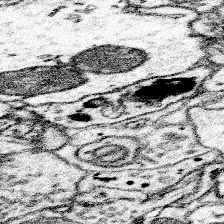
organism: Mouse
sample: Somatosensory cortex neuropil